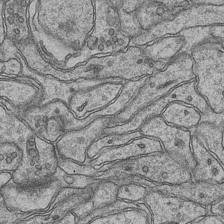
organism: Mouse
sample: CA1 Hippocampus